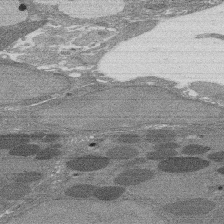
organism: Rat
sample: Salivary granule